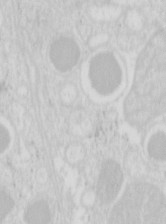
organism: Mouse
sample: Pancreas